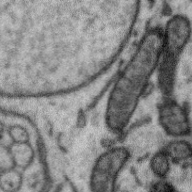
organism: Zebra finch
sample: Brain